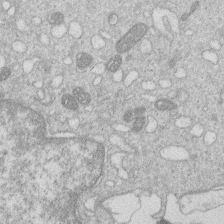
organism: Human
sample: Macrophage cells